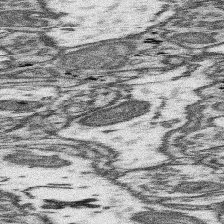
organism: Mouse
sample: Somatosensory cortex neuropil